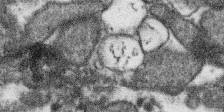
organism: Human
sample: Lung epithelial cells infected with SARS-CoV-2